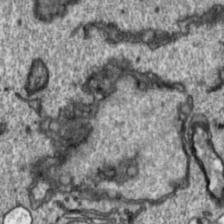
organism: Toxoplasma gondii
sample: Parasites in a vacuole inside a host cell